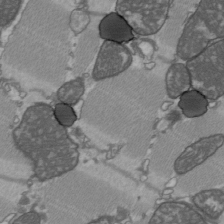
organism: C57BL Mouse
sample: Heart